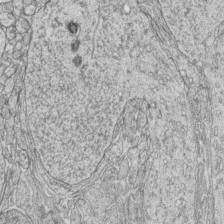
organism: Zebrafish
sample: synaptic ribbons in rod cells and cone cells